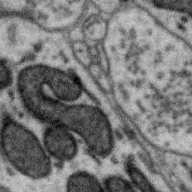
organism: Zebra finch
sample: Brain